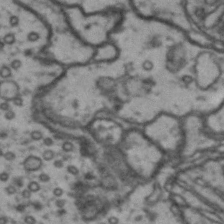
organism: Drosophila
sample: Brain